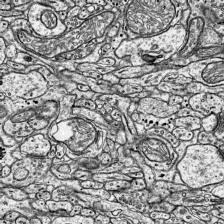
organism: Mouse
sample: Visual Cortex